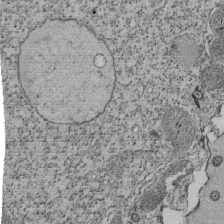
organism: Tetrahymena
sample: Cilia in tetrahymena